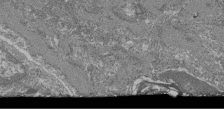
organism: Mouse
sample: Glomerulus